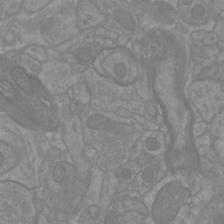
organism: Mouse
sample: Cortical neurons